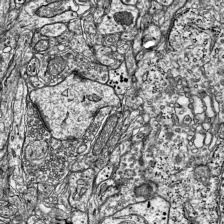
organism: Mouse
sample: Visual Cortex